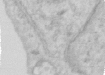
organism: Human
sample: Centriole in RPE cells